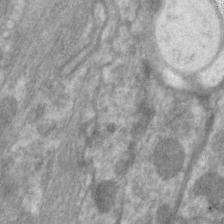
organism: C. elegans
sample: Pharynx